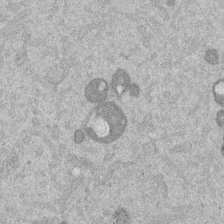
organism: Mouse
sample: Dividing mouse embryo 1 cell stage